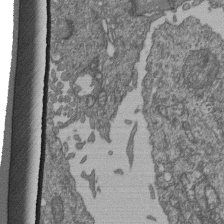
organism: Human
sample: Retinal organoid Rod and Cone cells